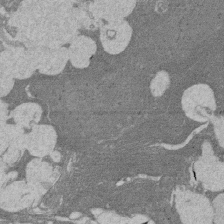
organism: Rat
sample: Salivary granule